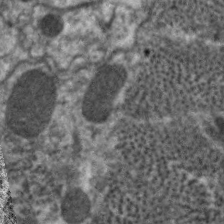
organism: C. elegans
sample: Pharynx